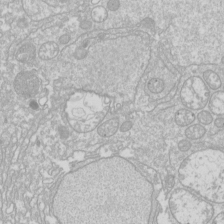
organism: Drosophila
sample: Cell division; meiosis; drosophila spermatocytes